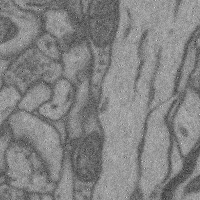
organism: Mouse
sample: Cerebral cortex